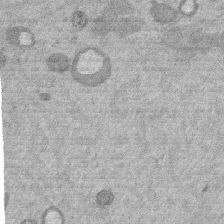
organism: Mouse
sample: Dividing mouse embryo 1 cell stage